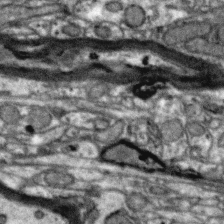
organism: Zebra finch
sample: Brain